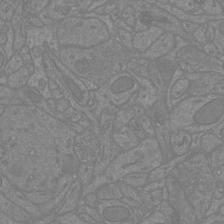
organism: Mouse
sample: Cortical neurons